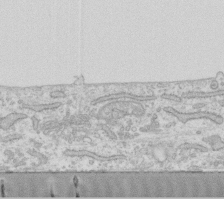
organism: Human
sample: Fibroblast cells